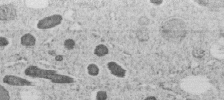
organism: C. elegans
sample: C. elegans embryo early stage